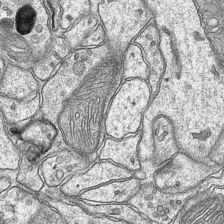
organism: Mouse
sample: CA1 Hippocampus